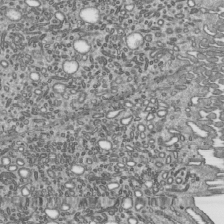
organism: Mouse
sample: Mouse epididymis efferent ductule cilia